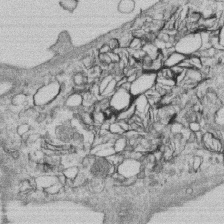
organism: Human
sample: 1205lu cells